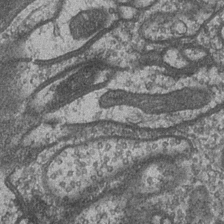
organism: Drosophila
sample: Optic medulla